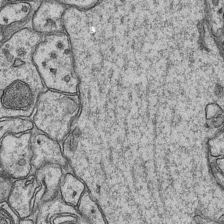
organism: Mouse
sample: CA1 Hippocampus